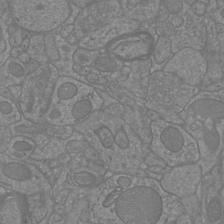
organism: Mouse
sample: Cortical neurons